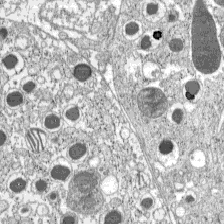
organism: C57BL Mouse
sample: Pancreatic islet